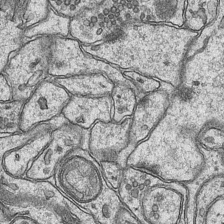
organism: Mouse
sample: CA1 Hippocampus